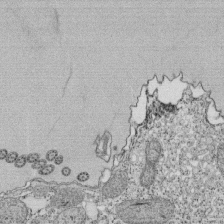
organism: Tetrahymena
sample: Cilia in tetrahymena